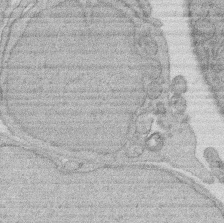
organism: Rat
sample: Salivary granule